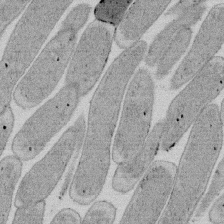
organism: E. coli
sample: Bacterial nucleoid